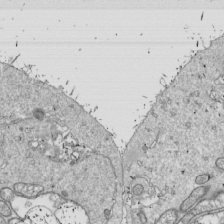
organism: Drosophila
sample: Cell division; meiosis; drosophila spermatocytes